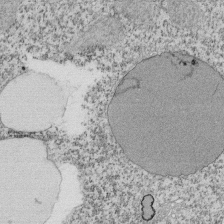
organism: Tetrahymena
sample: Cilia in tetrahymena